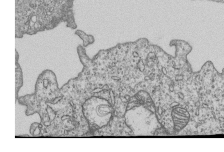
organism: Human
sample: MDA-MB-231 cells